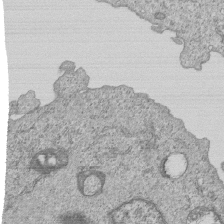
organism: Human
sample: MDA-MB-231 cells